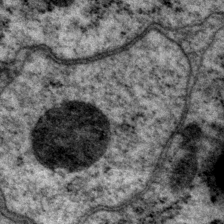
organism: P. pacificus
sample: Pharynx